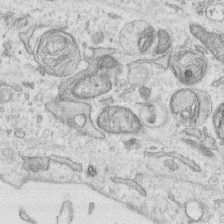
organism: Human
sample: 1205lu cells